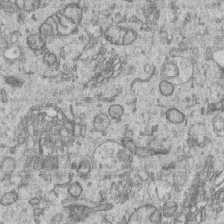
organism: Human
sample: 1205lu cells